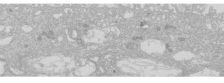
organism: Human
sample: Caco-2 cells